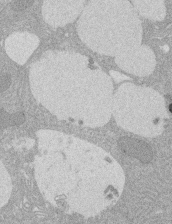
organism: Rat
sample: Salivary granule